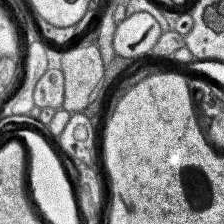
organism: Human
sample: Temporal Lobe